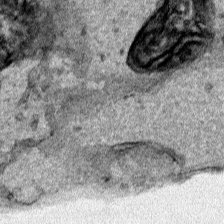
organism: Human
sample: Mitochondria in HCT116 cells